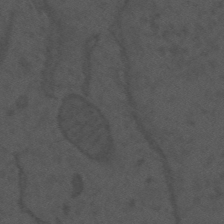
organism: Mouse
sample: Suprachiasmatic nucleus